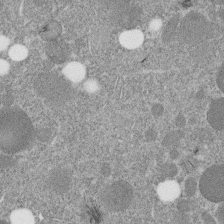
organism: C. elegans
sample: C. elegans embryo early stage